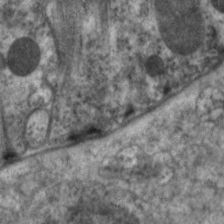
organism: C. elegans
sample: Pharynx